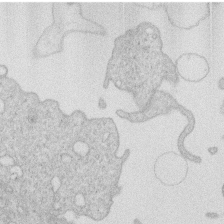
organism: Human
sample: Macrophage cells